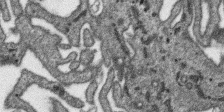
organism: Human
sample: Lung epithelial cells infected with SARS-CoV-2